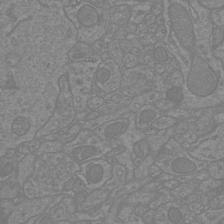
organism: Mouse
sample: Cortical neurons